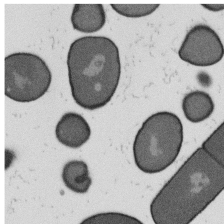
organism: B. subtilis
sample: Bacterial spore